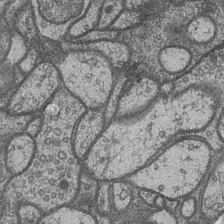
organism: Drosophila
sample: Optic medulla